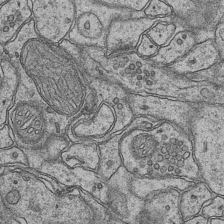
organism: Mouse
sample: CA1 Hippocampus